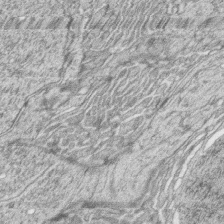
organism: Zebrafish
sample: synaptic ribbons in rod cells and cone cells